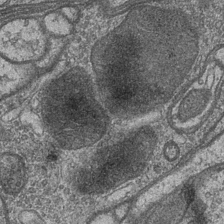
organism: Drosophila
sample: Optic medulla